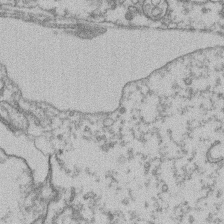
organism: Mouse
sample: T cell stromal cell synapse